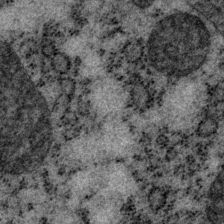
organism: P. pacificus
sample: Pharynx